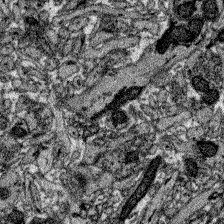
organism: Zebrafish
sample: Larval olfactory bulb